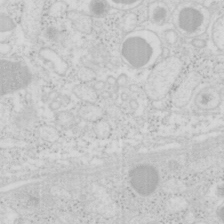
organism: Mouse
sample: Pancreas